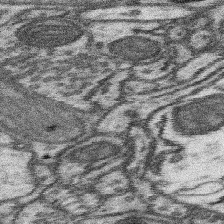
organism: Mouse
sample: Somatosensory cortex neuropil